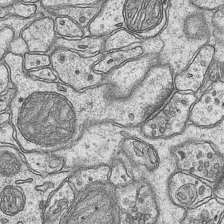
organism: Mouse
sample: CA1 Hippocampus